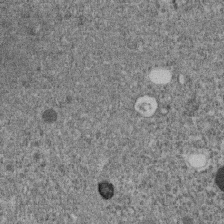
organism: C. elegans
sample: C. elegans embryo early stage